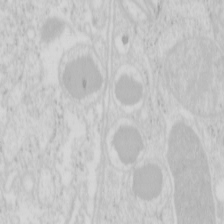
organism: Mouse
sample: Pancreas